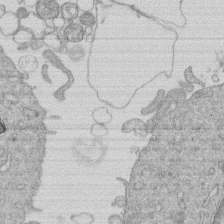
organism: Human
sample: Macrophage cells